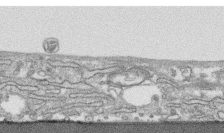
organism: Human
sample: CRL-1474